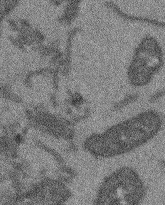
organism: Arabidopsis thaliana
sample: Root tip